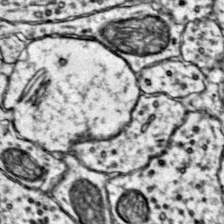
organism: Mouse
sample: Primary visual cortex